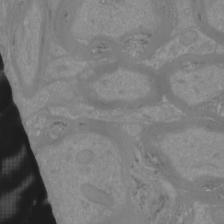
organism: Mouse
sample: Cortical neurons